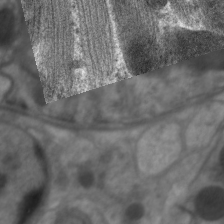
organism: C. elegans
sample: Pharynx